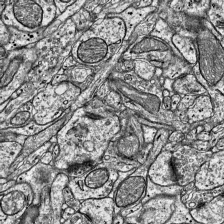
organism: Mouse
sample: Visual Cortex